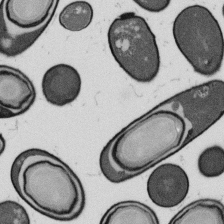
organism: B. subtilis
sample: Bacterial spore